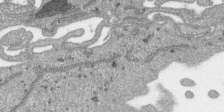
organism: Human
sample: Lung epithelial cells infected with SARS-CoV-2